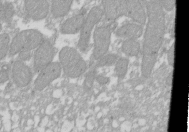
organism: Xenopus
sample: Cilia; centrioles in frog embryo cells